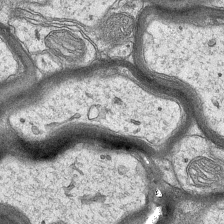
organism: Mouse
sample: CA1 Hippocampus